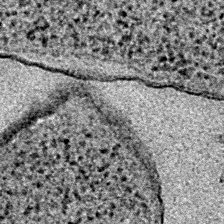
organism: E. coli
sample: E. Coli Bacteria